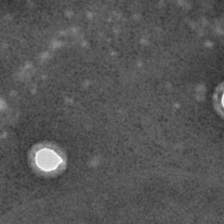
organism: C. elegans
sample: C. elegans embryo